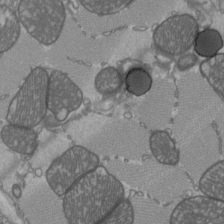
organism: C57BL Mouse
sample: Heart